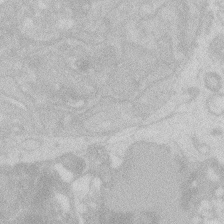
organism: Zebrafish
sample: Macrophage